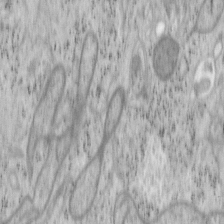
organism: Human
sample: HeLa cells